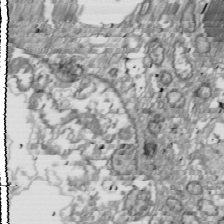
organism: Drosophila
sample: Cell division; meiosis; drosophila spermatocytes